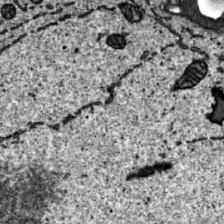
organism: Human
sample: HeLa cells